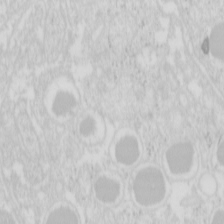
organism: Mouse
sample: Pancreas